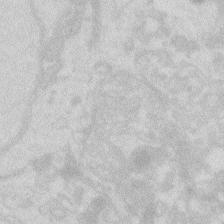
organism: Zebrafish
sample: Macrophage